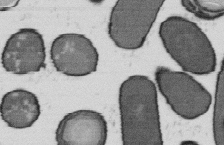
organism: B. subtilis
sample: Bacterial spore